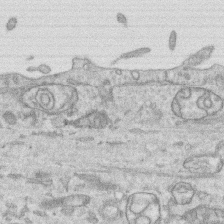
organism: Human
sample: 1205lu cells